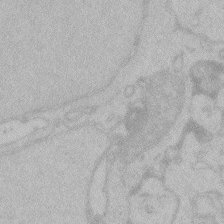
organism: Zebrafish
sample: Macrophage infected with Toxoplasma gondii